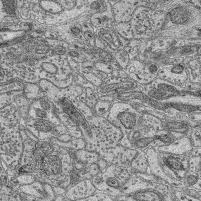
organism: Mouse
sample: Retina